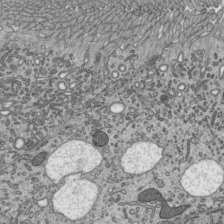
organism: Mouse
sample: Mouse epididymis efferent ductule cilia